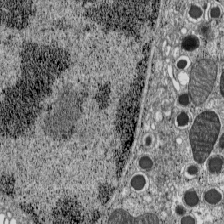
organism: C57BL Mouse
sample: Pancreatic islet